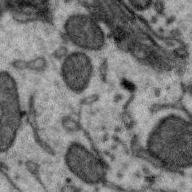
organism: Zebra finch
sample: Brain